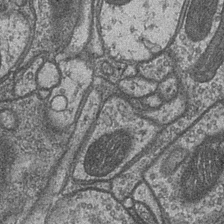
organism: Drosophila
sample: Optic medulla